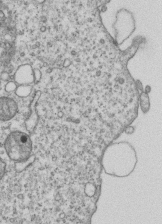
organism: Human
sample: MDA-MB-231 cells